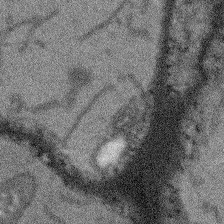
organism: Arabidopsis thaliana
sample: Root tip